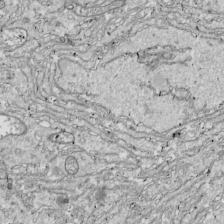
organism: Drosophila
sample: Cell division; meiosis; drosophila spermatocytes